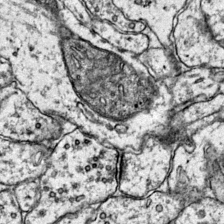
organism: Mouse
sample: Primary visual cortex